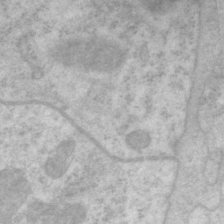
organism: P. pacificus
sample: Pharynx